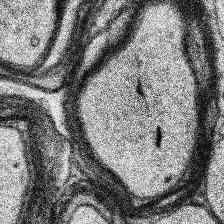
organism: Human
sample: Temporal Lobe